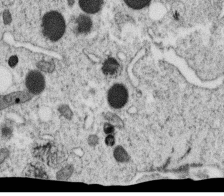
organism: C. elegans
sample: C. elegans oocyte; sperm cells